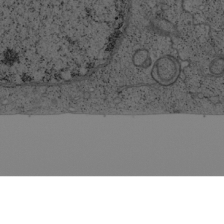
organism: African green monkey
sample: COS-7 cells